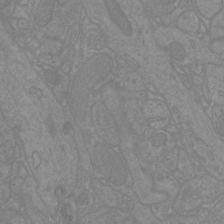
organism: Mouse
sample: Cortical neurons